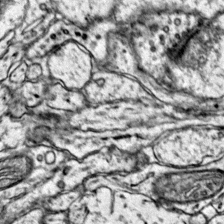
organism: Mouse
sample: Primary visual cortex